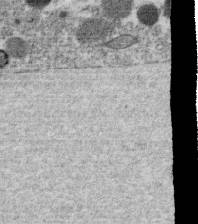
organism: C. elegans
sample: C. elegans oocyte; sperm cells